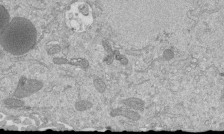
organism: Mouse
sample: ED-1 cell nuclei; centrioles